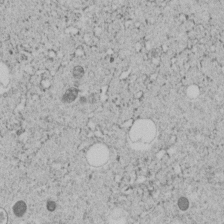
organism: C. elegans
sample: C. elegans embryo early stage